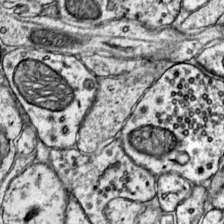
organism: Mouse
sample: Primary visual cortex